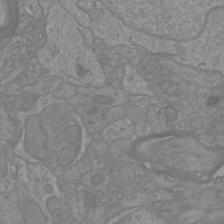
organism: Mouse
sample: Cortical neurons